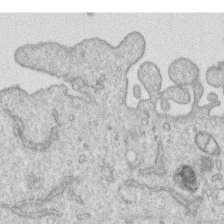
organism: Human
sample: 1205lu cells